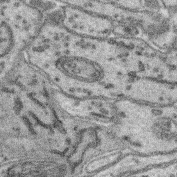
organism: Mouse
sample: Retina